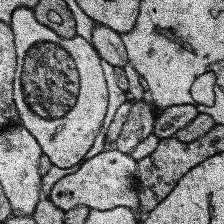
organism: Human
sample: Temporal Lobe